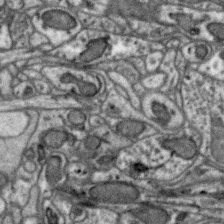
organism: Zebra finch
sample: Brain